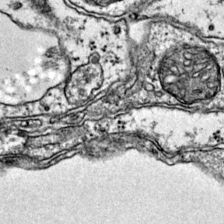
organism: Mouse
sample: Primary visual cortex